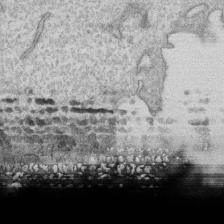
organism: Human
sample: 1205lu cells